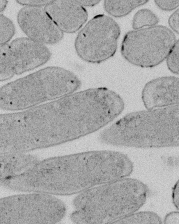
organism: E. coli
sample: Bacterial nucleoid